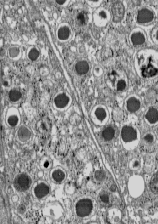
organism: C57BL Mouse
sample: Pancreatic islet